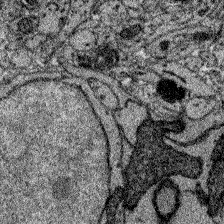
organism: Zebrafish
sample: Larval olfactory bulb